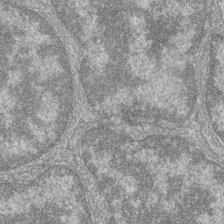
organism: Zebrafish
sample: Cilia; retinal pigment epithelium